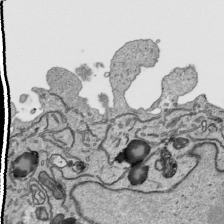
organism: Human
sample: Mitochondria in HCT116 cells